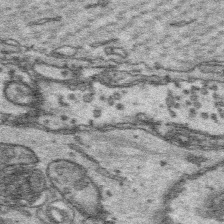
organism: Platynereis dumerilii